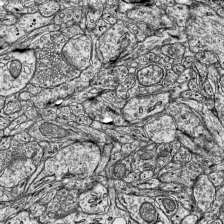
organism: Mouse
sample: Visual Cortex